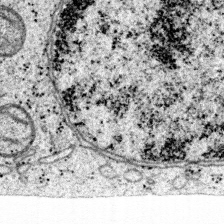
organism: Human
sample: HeLa cells